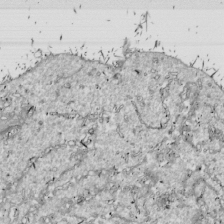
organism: Drosophila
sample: Cell division; meiosis; drosophila spermatocytes